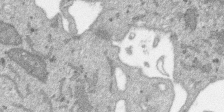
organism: Human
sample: Lung epithelial cells infected with SARS-CoV-2